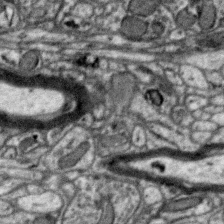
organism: Zebra finch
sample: Brain